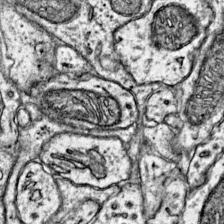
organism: Mouse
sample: Primary visual cortex